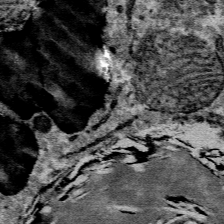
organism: Mouse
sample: Mouse Salivary gland